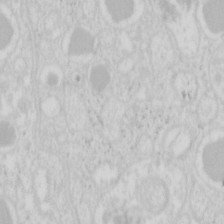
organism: Mouse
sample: Pancreas